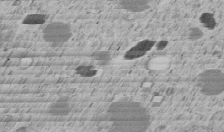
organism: C. elegans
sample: C. elegans embryo early stage